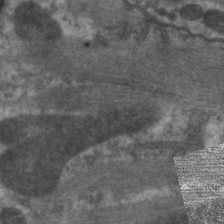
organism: C. elegans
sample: Pharynx